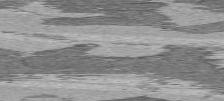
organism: C57BL Mouse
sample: Heart